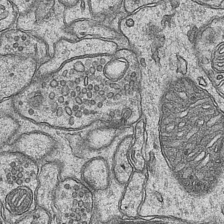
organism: Mouse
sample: CA1 Hippocampus